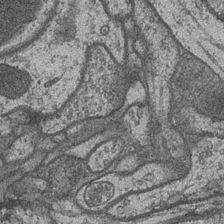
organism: Drosophila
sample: Optic medulla